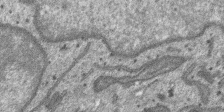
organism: Human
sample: Lung epithelial cells infected with SARS-CoV-2